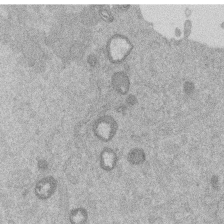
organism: Mouse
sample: Dividing mouse embryo 1 cell stage